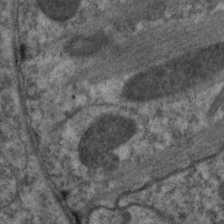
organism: C. elegans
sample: Pharynx